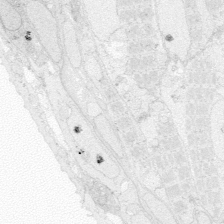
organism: Zebrafish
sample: Whole-Brain